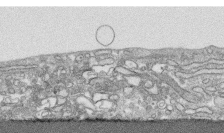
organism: Human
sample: CRL-1474